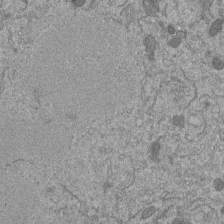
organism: Mouse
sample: ED-1 cell nuclei; centrioles